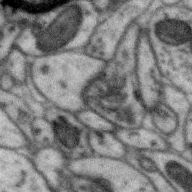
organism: Zebra finch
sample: Brain